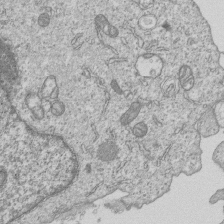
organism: Human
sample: MDA-MB-231 cells